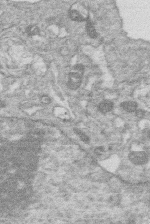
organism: Human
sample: Macrophage cells